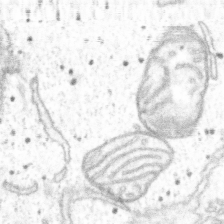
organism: Human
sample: HeLa cells